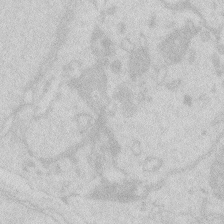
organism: Zebrafish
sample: Macrophage